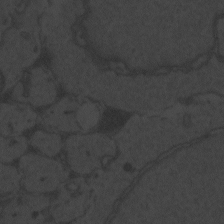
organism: Zebrafish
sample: Macrophage infected with Toxoplasma gondii